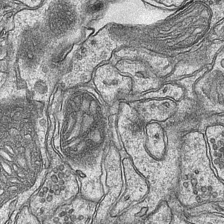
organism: Mouse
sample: CA1 Hippocampus